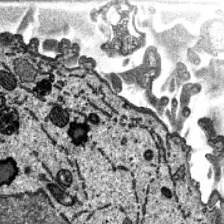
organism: Human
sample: HeLa cells